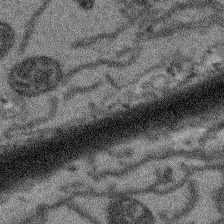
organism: Arabidopsis thaliana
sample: Root tip